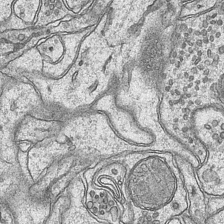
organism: Mouse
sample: CA1 Hippocampus